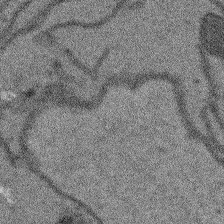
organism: Arabidopsis thaliana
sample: Root tip